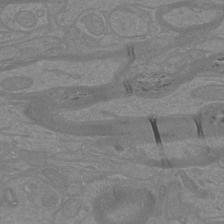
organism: Mouse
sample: Cortical neurons